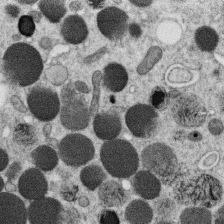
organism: C. elegans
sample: C. elegans oocyte; sperm cells